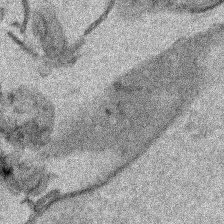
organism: Human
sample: Mitochondria in HCT116 cells